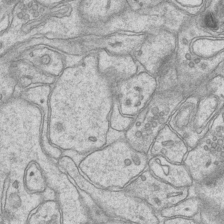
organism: Mouse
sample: CA1 Hippocampus